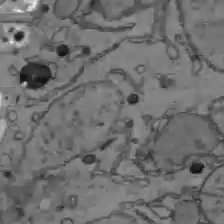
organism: C57BL Mouse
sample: Liver